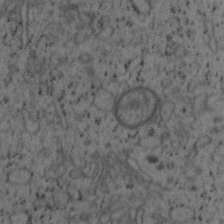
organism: Human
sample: HeLa cells